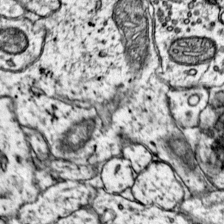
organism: Mouse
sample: Primary visual cortex